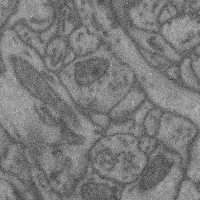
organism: Mouse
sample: Cerebral cortex